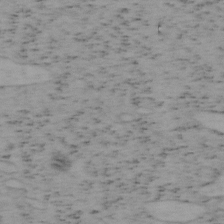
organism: Mouse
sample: OT-I killer T cells with ID8 ovarian cancer cells